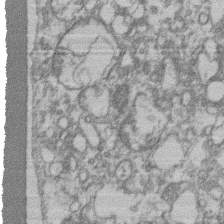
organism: Mouse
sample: T cell stromal cell synapse